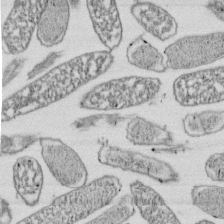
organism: E. coli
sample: Bacterial nucleoid